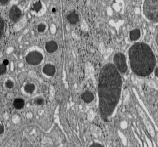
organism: C57BL Mouse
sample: Pancreatic islet